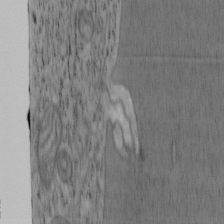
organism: Human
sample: HeLa cells